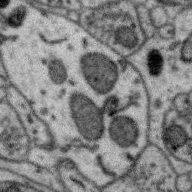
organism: Zebra finch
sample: Brain